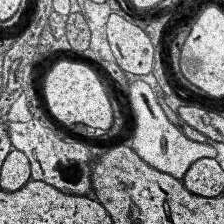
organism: Human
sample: Temporal Lobe